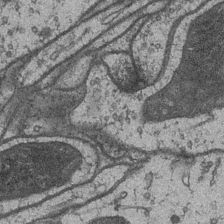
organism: Drosophila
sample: Optic medulla